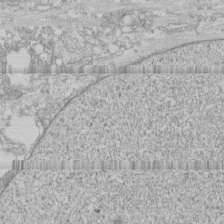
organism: Human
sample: CRL-1474